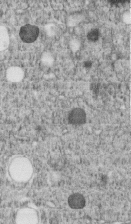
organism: C. elegans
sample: C. elegans embryo early stage